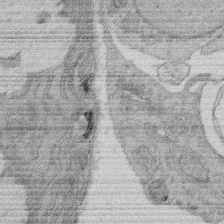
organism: Rat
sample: Salivary granule